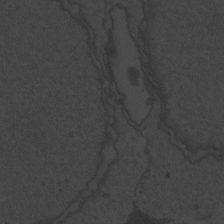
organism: Zebrafish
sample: Macrophage infected with Toxoplasma gondii